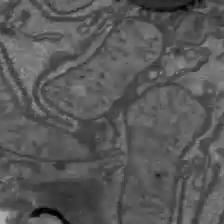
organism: C57BL Mouse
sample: Liver